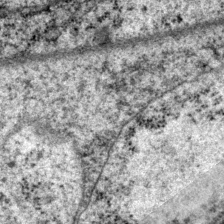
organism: P. pacificus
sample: Pharynx